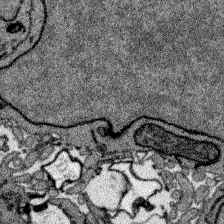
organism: Zebrafish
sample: Larval olfactory bulb